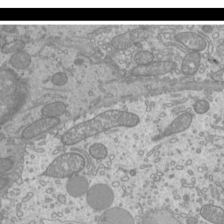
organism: Mouse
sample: Cilia; mouse epididymis